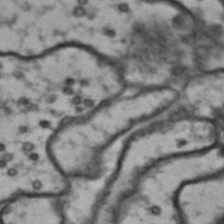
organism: Drosophila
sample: Brain